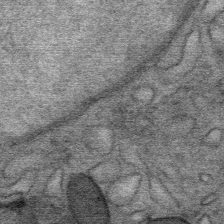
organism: Mouse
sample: Mouse Salivary gland